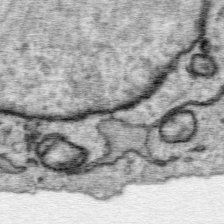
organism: Human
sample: HeLa cells